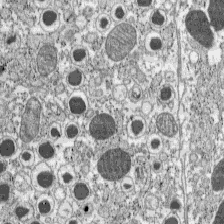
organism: C57BL Mouse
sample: Pancreatic islet